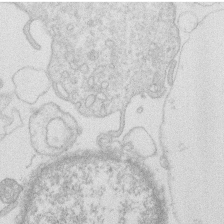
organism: Human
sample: Macrophage cells